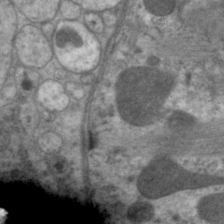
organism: C. elegans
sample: Pharynx